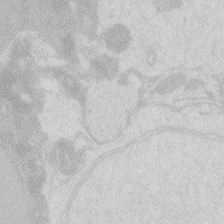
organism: Zebrafish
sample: Macrophage